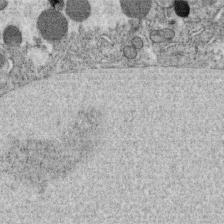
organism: C. elegans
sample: C. elegans oocyte; sperm cells